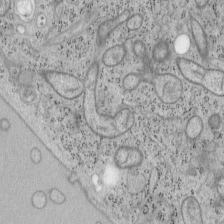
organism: Mouse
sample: OT-I killer T cells with ID8 ovarian cancer cells